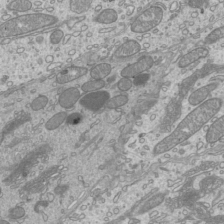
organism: Mouse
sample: Cilia; mouse epididymis